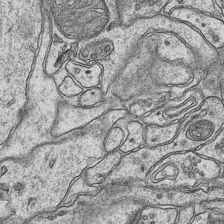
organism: Mouse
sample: CA1 Hippocampus